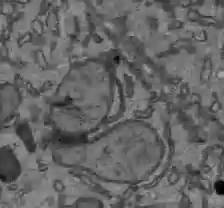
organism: C57BL Mouse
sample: Liver